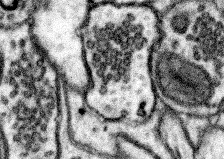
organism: Mouse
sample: Somatosensory cortex neuropil